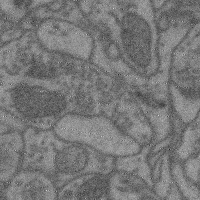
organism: Mouse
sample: Cerebral cortex